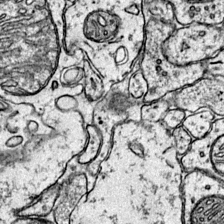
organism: Mouse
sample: Primary visual cortex